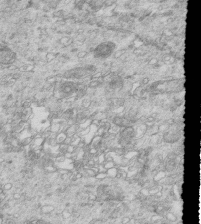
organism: Mouse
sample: Multiciliated cells